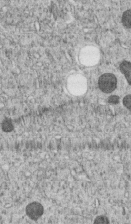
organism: C. elegans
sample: C. elegans embryo early stage